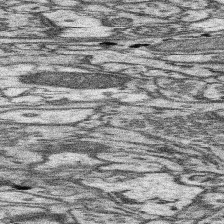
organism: Mouse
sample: Somatosensory cortex neuropil